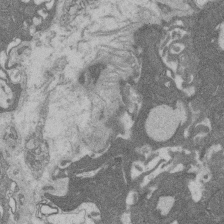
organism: Rat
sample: Salivary granule